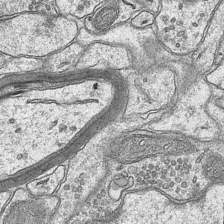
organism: Mouse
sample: CA1 Hippocampus